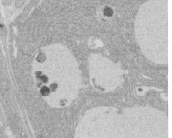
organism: Rat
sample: Salivary granule